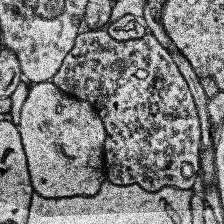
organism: Human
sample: Temporal Lobe